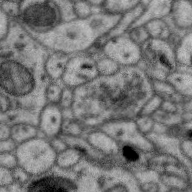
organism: Zebra finch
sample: Brain